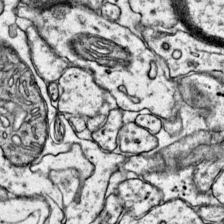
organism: Mouse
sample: Primary visual cortex